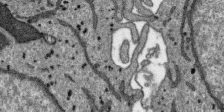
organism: Human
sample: Lung epithelial cells, uninfected (mock) control